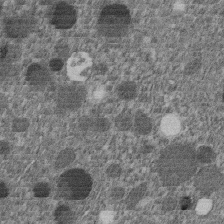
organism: C. elegans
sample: C. elegans embryo early stage